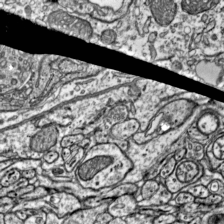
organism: Mouse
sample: Visual Cortex